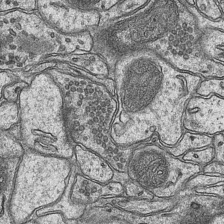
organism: Mouse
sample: CA1 Hippocampus